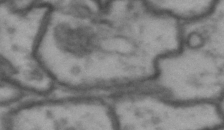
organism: Drosophila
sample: Brain